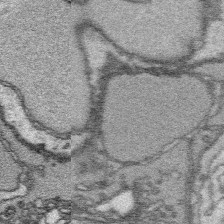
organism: Platynereis dumerilii